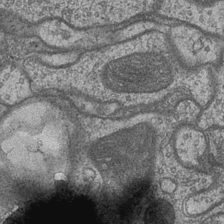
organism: Drosophila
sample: Optic medulla